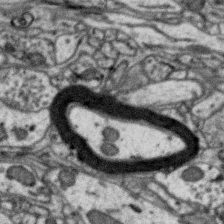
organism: Zebra finch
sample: Brain